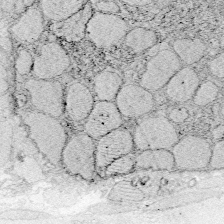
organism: Zebrafish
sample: Whole-Brain